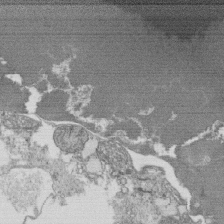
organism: Tetrahymena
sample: Cilia in tetrahymena